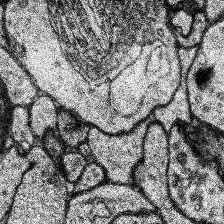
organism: Human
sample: Temporal Lobe